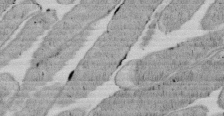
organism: E. coli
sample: Bacterial nucleoid